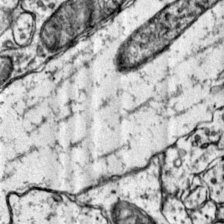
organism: Mouse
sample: Primary visual cortex